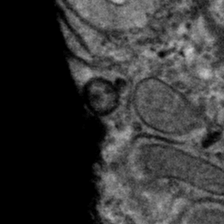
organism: Mouse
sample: Mouse hepatocytes